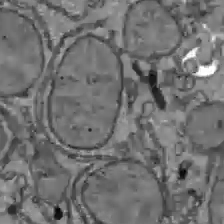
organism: C57BL Mouse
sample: Liver